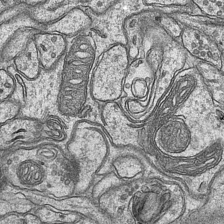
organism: Mouse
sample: CA1 Hippocampus